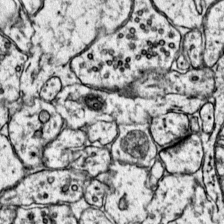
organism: Mouse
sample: Primary visual cortex